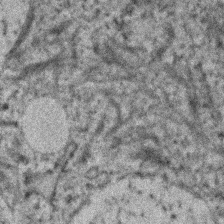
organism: Human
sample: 1205lu cells